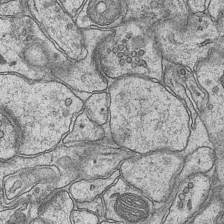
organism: Mouse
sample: CA1 Hippocampus